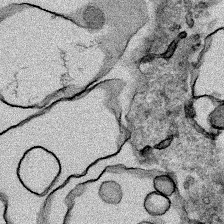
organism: Human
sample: Mitochondria in HCT116 cells